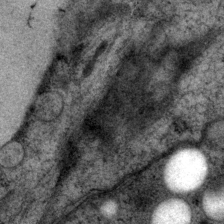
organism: P. pacificus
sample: Pharynx